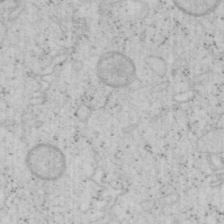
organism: Human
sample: HeLa cells